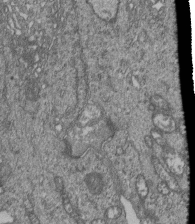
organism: Human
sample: Retinal organoid Rod and Cone cells